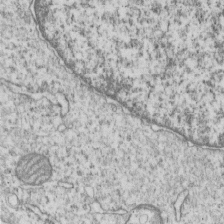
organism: Human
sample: MDA-MB-231 cells